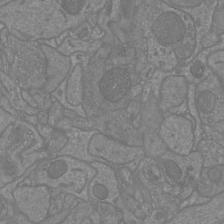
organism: Mouse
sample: Cortical neurons